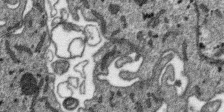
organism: Human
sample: Lung epithelial cells infected with SARS-CoV-2